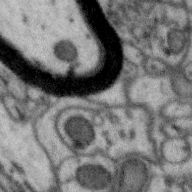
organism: Zebra finch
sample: Brain